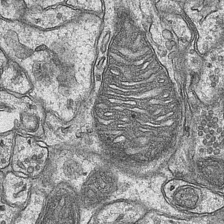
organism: Mouse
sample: CA1 Hippocampus